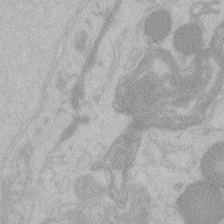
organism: Zebrafish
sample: Macrophage infected with Toxoplasma gondii